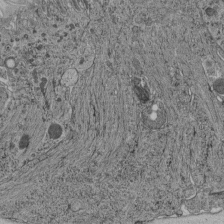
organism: C. elegans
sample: C. elegans pharynx